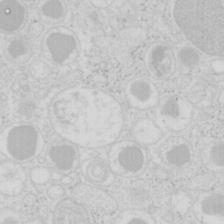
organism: Mouse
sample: Pancreas